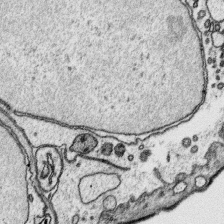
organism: Platynereis dumerilii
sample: Parapodia